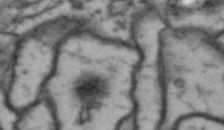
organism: Drosophila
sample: Brain